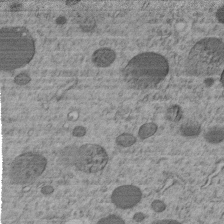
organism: C. elegans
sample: C. elegans embryo early stage